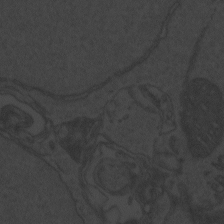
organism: Zebrafish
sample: Macrophage infected with Toxoplasma gondii